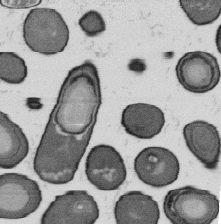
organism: B. subtilis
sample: Bacterial spore